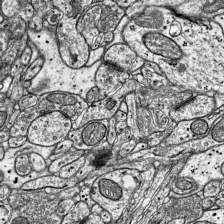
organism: Mouse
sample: Visual Cortex